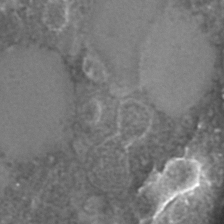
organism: C. elegans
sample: C. elegans embryo